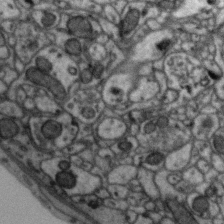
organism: Zebra finch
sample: Brain